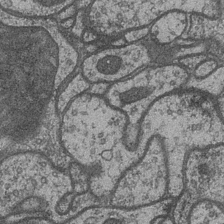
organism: Drosophila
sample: Optic medulla